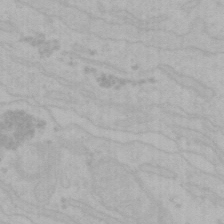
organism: Mouse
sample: Choroid plexus